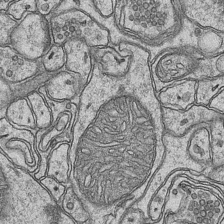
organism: Mouse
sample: CA1 Hippocampus